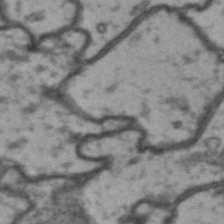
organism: Drosophila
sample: Brain